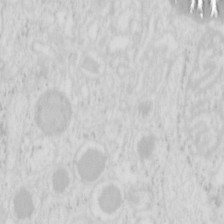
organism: Mouse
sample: Pancreas